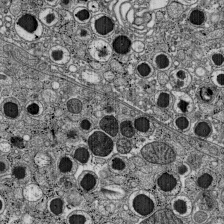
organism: C57BL Mouse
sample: Pancreatic islet